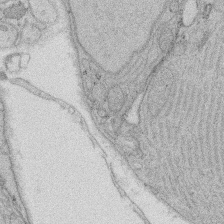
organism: Rat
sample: Salivary granule